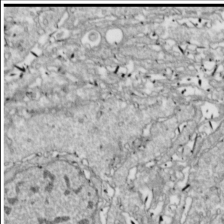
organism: Drosophila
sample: Cell division; meiosis; drosophila spermatocytes